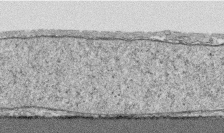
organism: Human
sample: CRL-1474